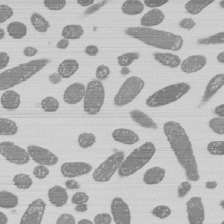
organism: E. coli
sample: Bacterial nucleoid